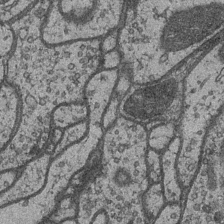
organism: Drosophila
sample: Optic medulla